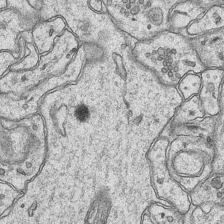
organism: Mouse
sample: CA1 Hippocampus